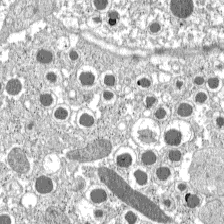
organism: C57BL Mouse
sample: Pancreatic islet